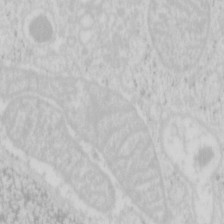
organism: Mouse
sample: Pancreas